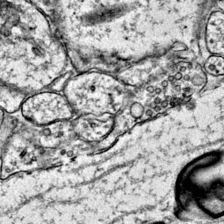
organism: Mouse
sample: Primary visual cortex